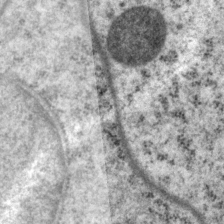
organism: P. pacificus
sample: Pharynx